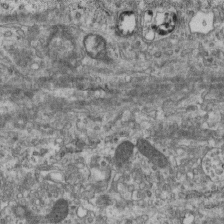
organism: Mouse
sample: Centriole in ependymal cells